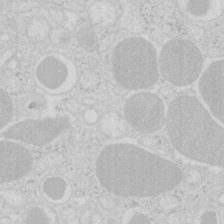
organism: Mouse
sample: Pancreas